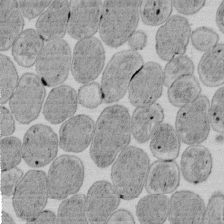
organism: E. coli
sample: Bacterial nucleoid